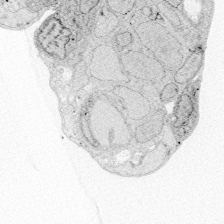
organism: Zebrafish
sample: Whole-Brain